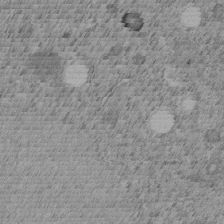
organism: C. elegans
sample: C. elegans embryo early stage